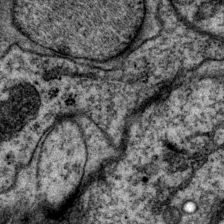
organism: P. pacificus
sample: Pharynx